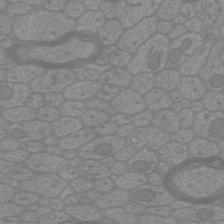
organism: Mouse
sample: Cortical neurons